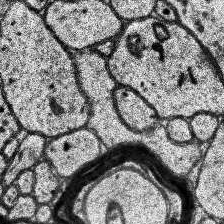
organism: Human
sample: Temporal Lobe